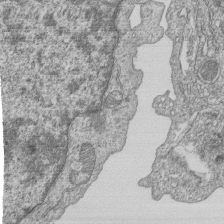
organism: Human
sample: MDA-MB-231 cells